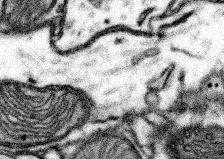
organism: Mouse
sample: Somatosensory cortex neuropil